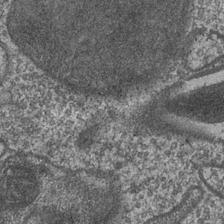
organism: Drosophila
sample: Optic medulla